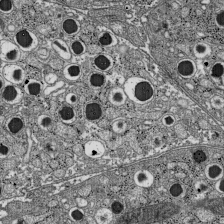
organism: C57BL Mouse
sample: Pancreatic islet